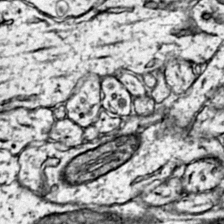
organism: Mouse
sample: Primary visual cortex